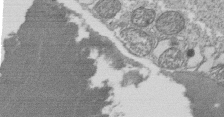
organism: Tetrahymena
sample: Cilia in tetrahymena